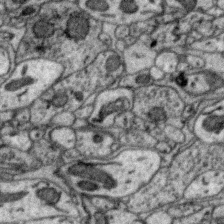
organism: Zebra finch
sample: Brain